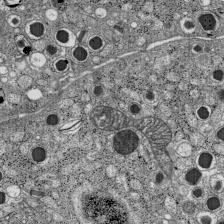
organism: C57BL Mouse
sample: Pancreatic islet